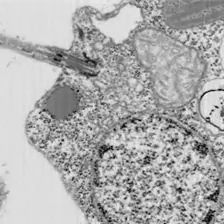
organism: Chlamydomonas reinhardtii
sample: Whole Cell